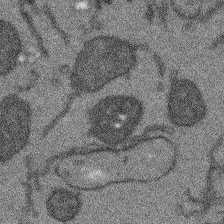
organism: Arabidopsis thaliana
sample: Root tip